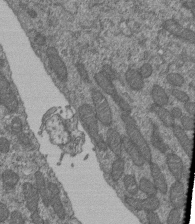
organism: Human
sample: Retinal organoid Rod and Cone cells